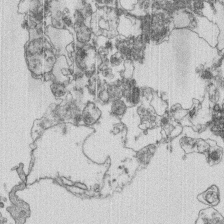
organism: Human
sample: HeLa cell HIV synapse